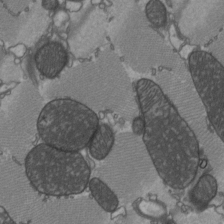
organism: C57BL Mouse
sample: Heart